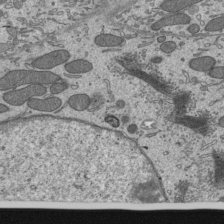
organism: Mouse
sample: Mouse epididymis efferent ductule cilia